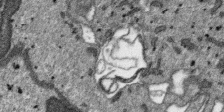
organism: Human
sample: Lung epithelial cells, uninfected (mock) control